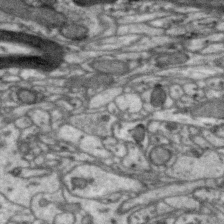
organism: Zebra finch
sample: Brain